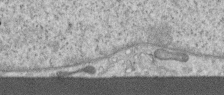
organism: Human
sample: Centriole in RPE cells